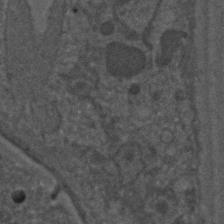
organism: C. elegans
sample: C. elegans embryo